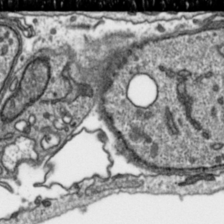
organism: Toxoplasma gondii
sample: Parasites in a vacuole inside a host cell